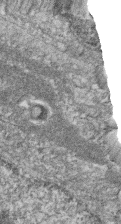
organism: Zebrafish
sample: Cilia; retinal pigment epithelium